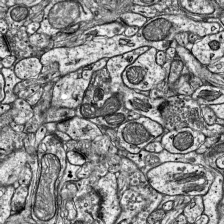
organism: Mouse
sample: Visual Cortex